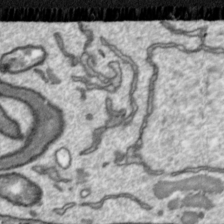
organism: Toxoplasma gondii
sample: Parasites in a vacuole inside a host cell